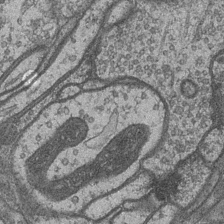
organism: Drosophila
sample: Optic medulla